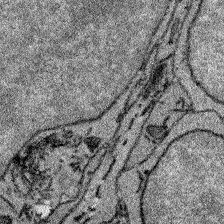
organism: Zebrafish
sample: Larval olfactory bulb